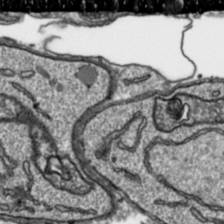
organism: Toxoplasma gondii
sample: Parasites in a vacuole inside a host cell